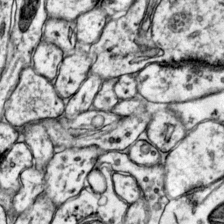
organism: Mouse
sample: Primary visual cortex